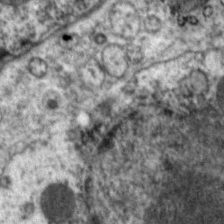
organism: C. elegans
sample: Pharynx